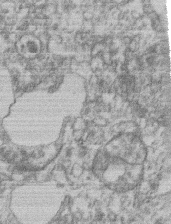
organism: Mouse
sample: T cell stromal cell synapse